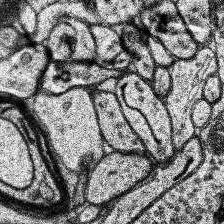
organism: Human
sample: Temporal Lobe